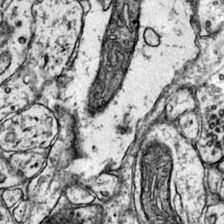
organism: Mouse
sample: Primary visual cortex